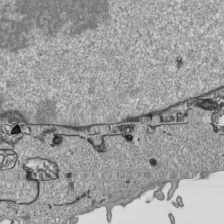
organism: Human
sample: Mitochondria in HCT116 cells